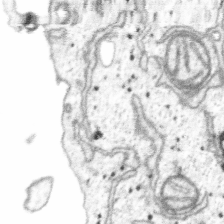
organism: Human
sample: HeLa cells